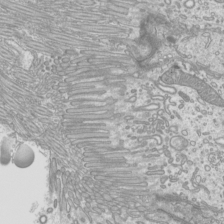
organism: Mouse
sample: Cilia; mouse epididymis